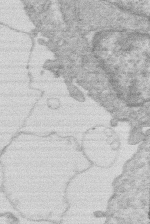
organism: Human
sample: Macrophage cells